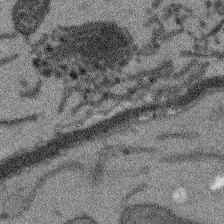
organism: Arabidopsis thaliana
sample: Root tip